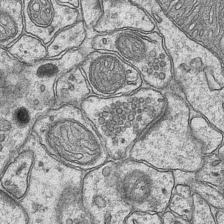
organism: Mouse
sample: CA1 Hippocampus